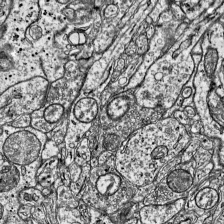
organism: Mouse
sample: Visual Cortex